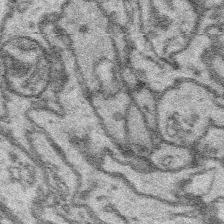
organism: Platynereis dumerilii